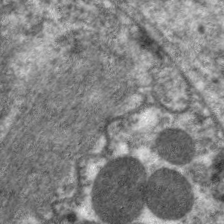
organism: C. elegans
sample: Pharynx